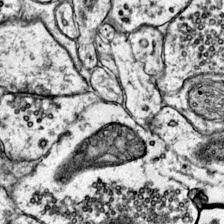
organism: Mouse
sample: Primary visual cortex